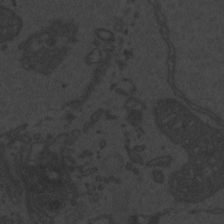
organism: Zebrafish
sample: Macrophage infected with Toxoplasma gondii